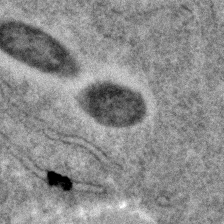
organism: C. elegans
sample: C. elegans embryo